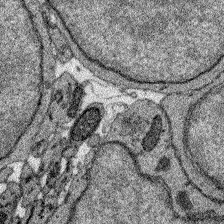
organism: Zebrafish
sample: Larval olfactory bulb